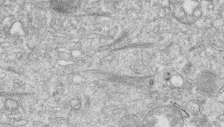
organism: Human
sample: HeLa cell HIV synapse